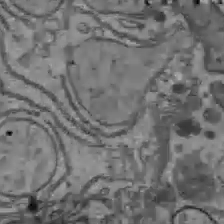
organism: C57BL Mouse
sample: Liver